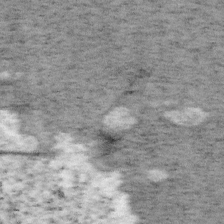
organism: Mouse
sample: OT-I killer T cells with ID8 ovarian cancer cells